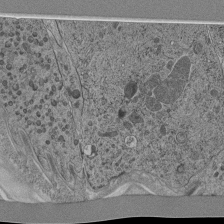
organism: C. elegans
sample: C. elegans pharynx